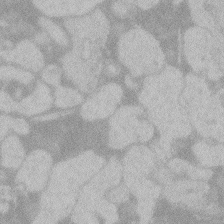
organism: Zebrafish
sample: Macrophage infected with Toxoplasma gondii